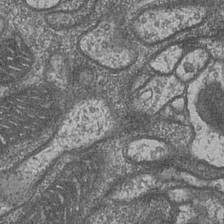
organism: Drosophila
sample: Optic medulla